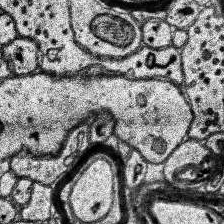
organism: Human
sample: Temporal Lobe